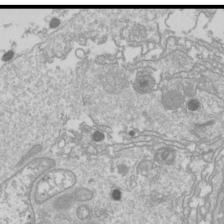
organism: Drosophila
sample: Cell division; meiosis; drosophila spermatocytes